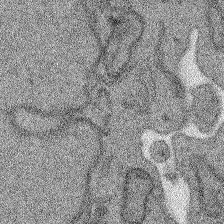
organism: Human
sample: HeLa cells